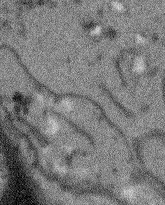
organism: Arabidopsis thaliana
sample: Root tip